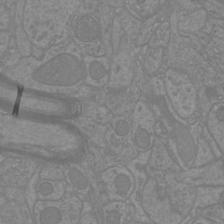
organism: Mouse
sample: Cortical neurons